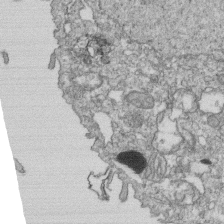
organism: Human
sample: HeLa cell HIV synapse